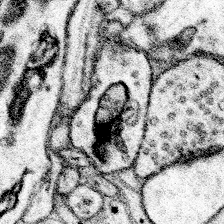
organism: Mouse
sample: Somatosensory cortex neuropil